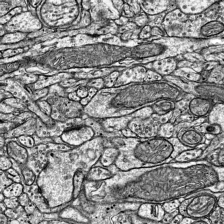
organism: Mouse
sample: Visual Cortex